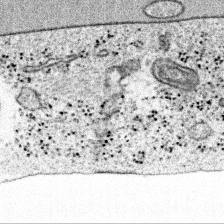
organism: Human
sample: HeLa cells